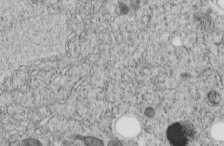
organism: C. elegans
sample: C. elegans embryo early stage